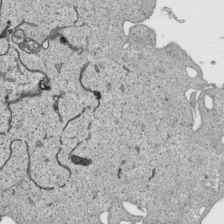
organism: Human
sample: Mitochondria in HCT116 cells